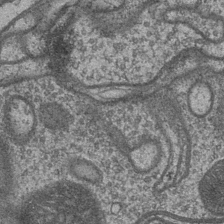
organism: Drosophila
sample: Optic medulla